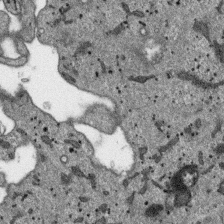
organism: Human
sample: Lung epithelial cells, uninfected (mock) control